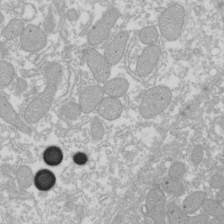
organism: Xenopus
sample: Cilia; centrioles in frog embryo cells